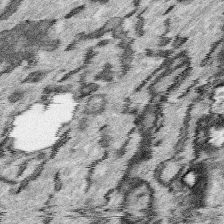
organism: Human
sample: HeLa cells